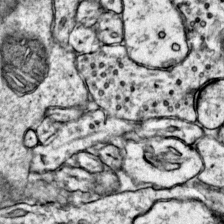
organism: Mouse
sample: Primary visual cortex